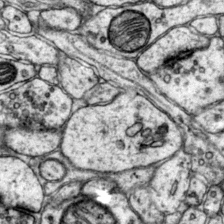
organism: Mouse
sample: Primary visual cortex